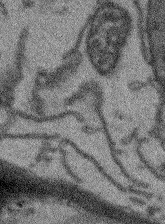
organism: Arabidopsis thaliana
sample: Root tip